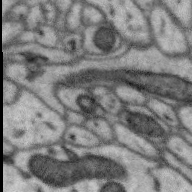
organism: Zebra finch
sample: Brain